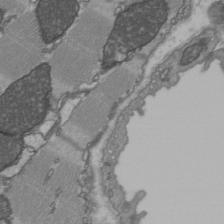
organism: C57BL Mouse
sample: Heart